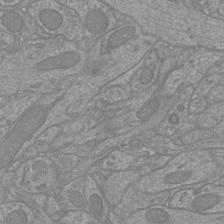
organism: Mouse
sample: Cortical neurons